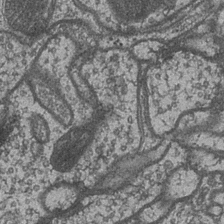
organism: Drosophila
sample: Optic medulla